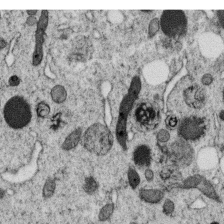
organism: C. elegans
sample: C. elegans oocyte; sperm cells